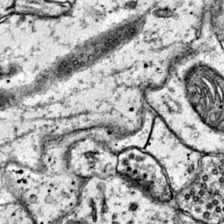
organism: Mouse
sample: Primary visual cortex